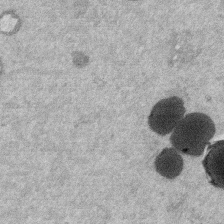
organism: Mouse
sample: Dividing mouse embryo 1 cell stage